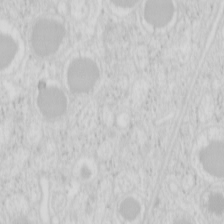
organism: Mouse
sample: Pancreas